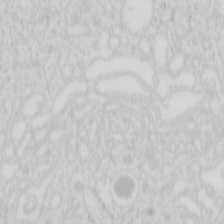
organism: Mouse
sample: Pancreas